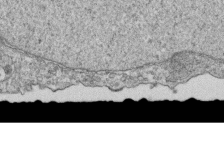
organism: Human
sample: HeLa cell HIV synapse